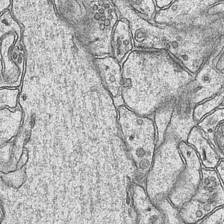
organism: Mouse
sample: CA1 Hippocampus